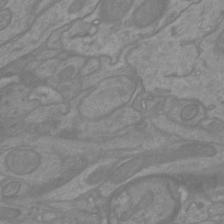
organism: Mouse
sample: Cortical neurons